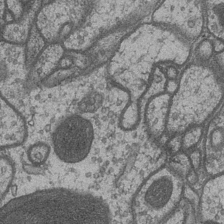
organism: Drosophila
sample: Optic medulla